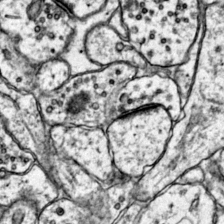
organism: Mouse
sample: Primary visual cortex